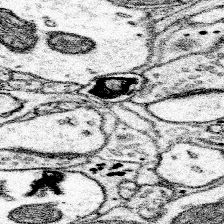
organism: Mouse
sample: Somatosensory cortex neuropil